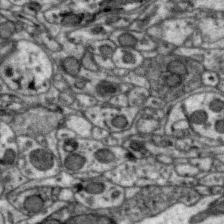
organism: Zebra finch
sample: Brain